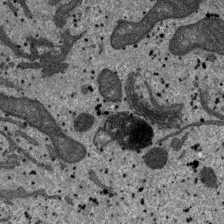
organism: Human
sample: Lung epithelial cells, uninfected (mock) control